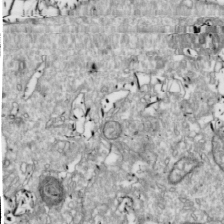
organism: Drosophila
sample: Cell division; meiosis; drosophila spermatocytes